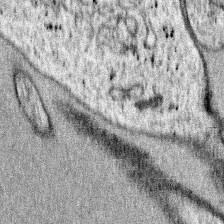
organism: Human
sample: HeLa cells